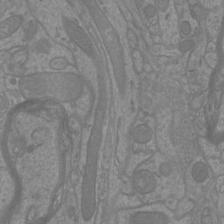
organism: Mouse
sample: Cortical neurons